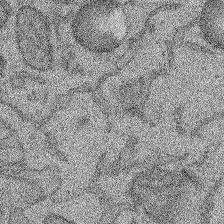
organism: Human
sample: HeLa cells